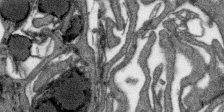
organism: Human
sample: Lung epithelial cells, uninfected (mock) control